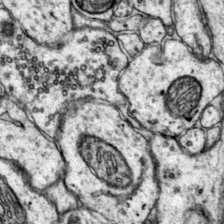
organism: Mouse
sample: Primary visual cortex